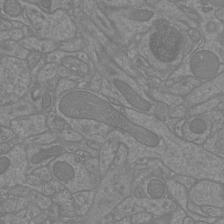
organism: Mouse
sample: Cortical neurons